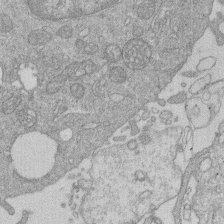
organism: Human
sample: Macrophage cells